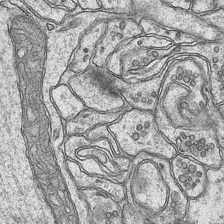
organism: Mouse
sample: CA1 Hippocampus